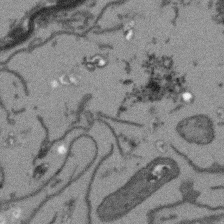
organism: Arabidopsis thaliana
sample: Root tip